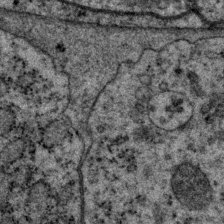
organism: P. pacificus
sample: Pharynx